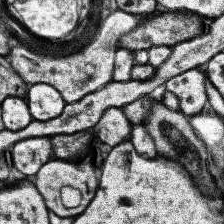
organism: Human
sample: Temporal Lobe